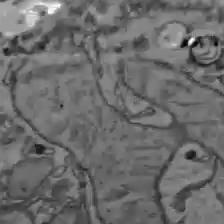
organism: C57BL Mouse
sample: Liver